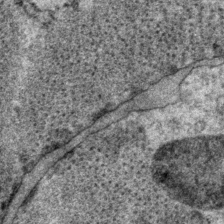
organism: P. pacificus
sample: Pharynx